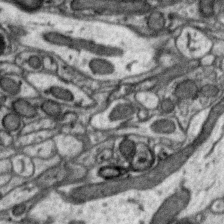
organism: Zebra finch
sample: Brain